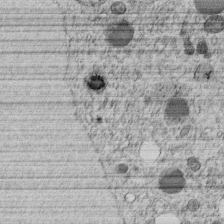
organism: C. elegans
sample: C. elegans embryo early stage